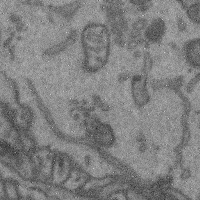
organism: Mouse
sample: Cerebral cortex